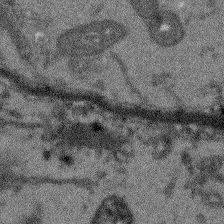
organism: Arabidopsis thaliana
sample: Root tip